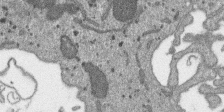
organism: Human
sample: Lung epithelial cells infected with SARS-CoV-2